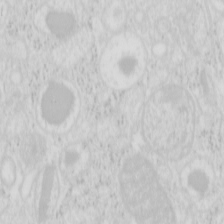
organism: Mouse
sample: Pancreas